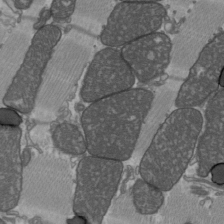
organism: C57BL Mouse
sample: Heart